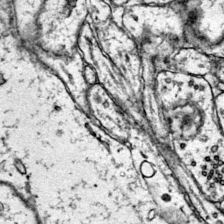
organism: Mouse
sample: Primary visual cortex